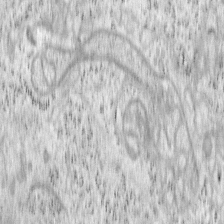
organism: Human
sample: HeLa cells